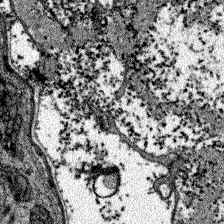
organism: Zebrafish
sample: Larval olfactory bulb